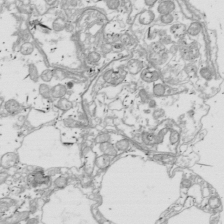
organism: Drosophila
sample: Cell division; meiosis; drosophila spermatocytes